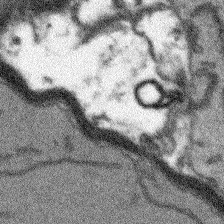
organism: Arabidopsis thaliana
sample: Root tip